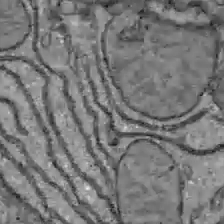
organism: C57BL Mouse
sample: Liver